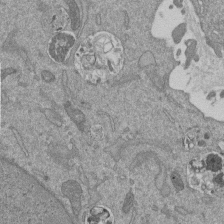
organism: Mouse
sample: ED-1 cell nuclei; centrioles